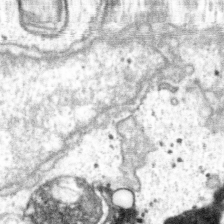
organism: Human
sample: HeLa cells